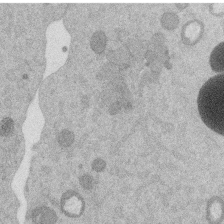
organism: Mouse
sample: Dividing mouse embryo 1 cell stage